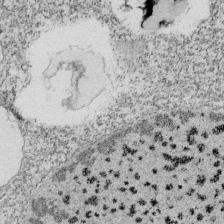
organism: Tetrahymena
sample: Cilia in tetrahymena